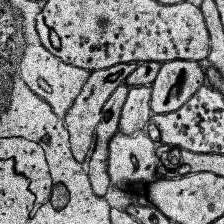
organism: Human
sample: Temporal Lobe